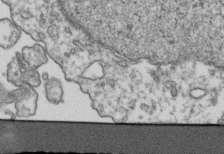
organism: Human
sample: Activated Jurkat CD4+ T cells